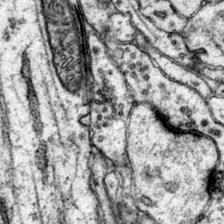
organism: Mouse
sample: Primary visual cortex